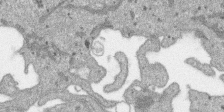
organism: Human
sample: Lung epithelial cells infected with SARS-CoV-2